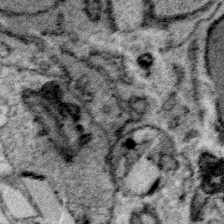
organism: Plasmodium falciparum